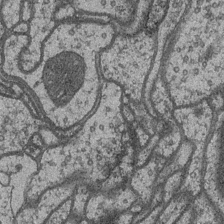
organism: Drosophila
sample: Optic medulla